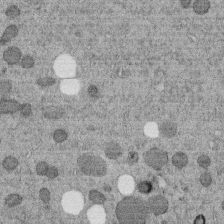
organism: C. elegans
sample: C. elegans embryo early stage